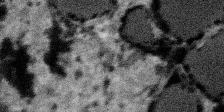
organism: Human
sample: Lung epithelial cells infected with SARS-CoV-2